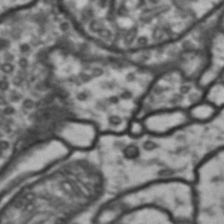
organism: Drosophila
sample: Brain